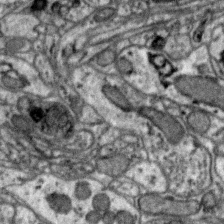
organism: Zebra finch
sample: Brain